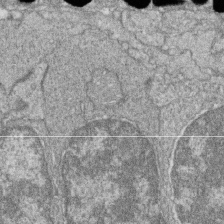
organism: Zebrafish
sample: Cilia; retinal pigment epithelium